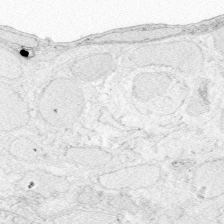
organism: Zebrafish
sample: Whole-Brain